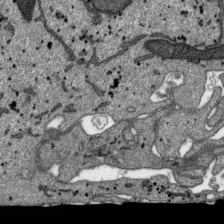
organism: Human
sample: Lung epithelial cells, uninfected (mock) control